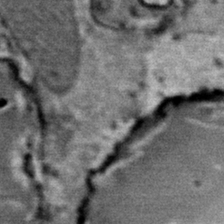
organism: Mouse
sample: Mouse Salivary gland